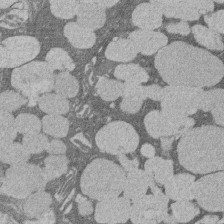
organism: Rat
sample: Salivary granule